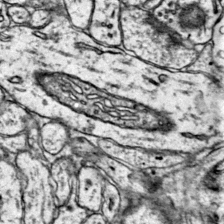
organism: Mouse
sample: Primary visual cortex